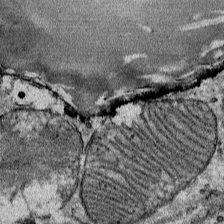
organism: Mouse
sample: Mouse Salivary gland